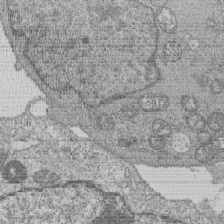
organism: Human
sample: MDA-MB-231 cells